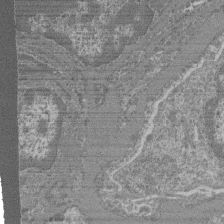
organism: Mouse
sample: Glomerulus